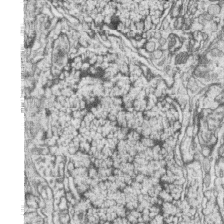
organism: Zebrafish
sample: synaptic ribbons in rod cells and cone cells